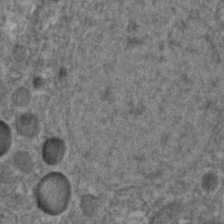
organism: C. elegans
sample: C. elegans embryo